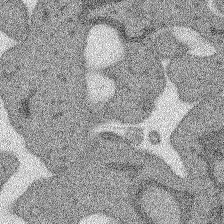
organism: Human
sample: HeLa cells